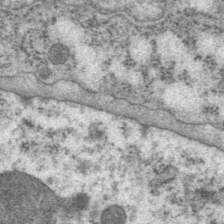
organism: P. pacificus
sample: Pharynx